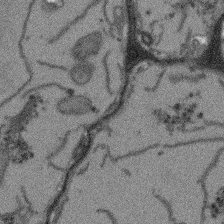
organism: Arabidopsis thaliana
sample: Root tip